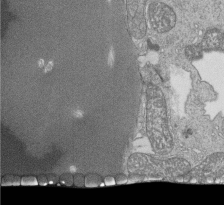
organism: Tetrahymena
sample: Cilia in tetrahymena